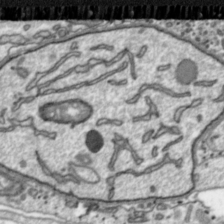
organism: Toxoplasma gondii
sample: Parasites in a vacuole inside a host cell